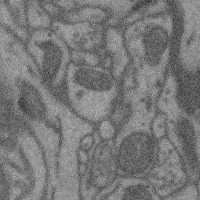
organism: Mouse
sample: Cerebral cortex